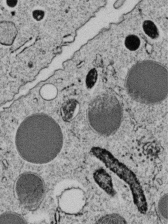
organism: C. elegans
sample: C. elegans embryo early stage